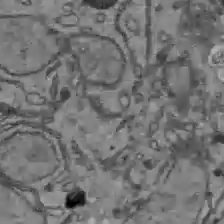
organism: C57BL Mouse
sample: Liver